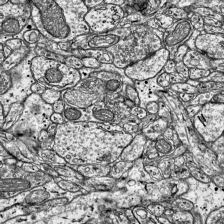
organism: Mouse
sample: Visual Cortex